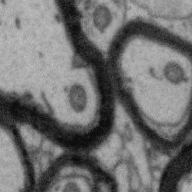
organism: Zebra finch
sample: Brain